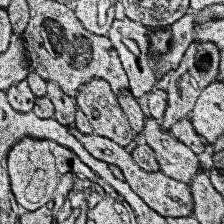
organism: Human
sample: Temporal Lobe